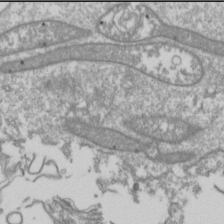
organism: Drosophila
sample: Cell division; meiosis; drosophila spermatocytes